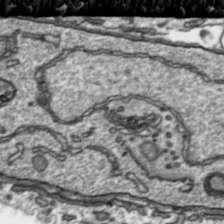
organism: Toxoplasma gondii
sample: Parasites in a vacuole inside a host cell